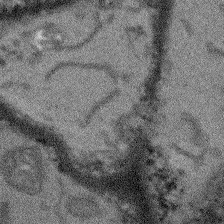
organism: Arabidopsis thaliana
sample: Root tip